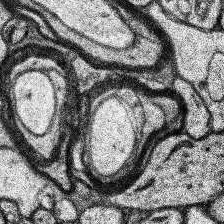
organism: Human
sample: Temporal Lobe